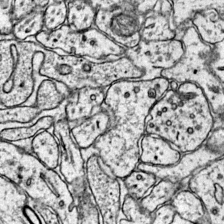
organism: Mouse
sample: Primary visual cortex